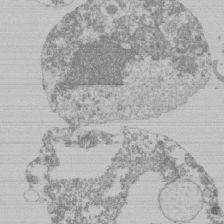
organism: Mouse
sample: Activated Pmel transgenic CD8+ T Cells